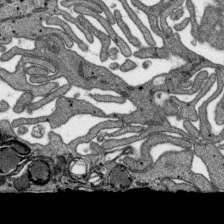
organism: Human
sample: Lung epithelial cells, uninfected (mock) control